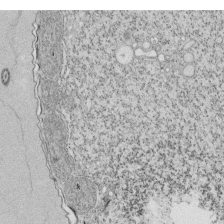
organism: Tetrahymena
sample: Cilia in tetrahymena